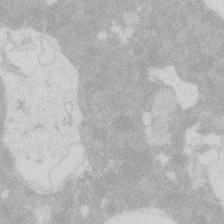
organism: Zebrafish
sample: Macrophage